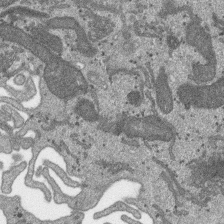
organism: Human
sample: Lung epithelial cells infected with SARS-CoV-2